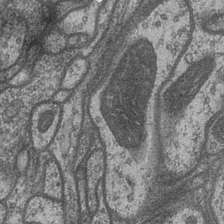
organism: Drosophila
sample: Optic medulla